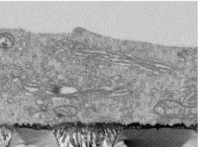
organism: Human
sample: Centriole in RPE cells